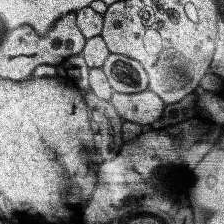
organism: Human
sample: Temporal Lobe